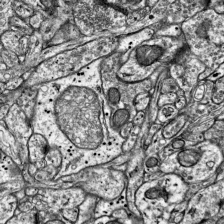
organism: Mouse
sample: Visual Cortex